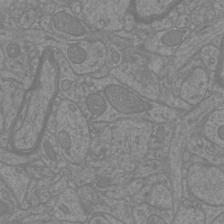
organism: Mouse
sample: Cortical neurons